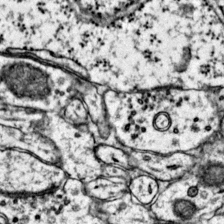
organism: Mouse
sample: Primary visual cortex